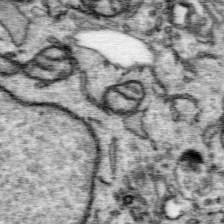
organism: Human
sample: HeLa cells